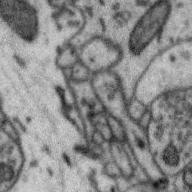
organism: Zebra finch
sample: Brain